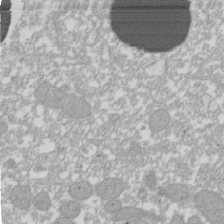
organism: Xenopus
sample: Cilia; centrioles in frog embryo cells